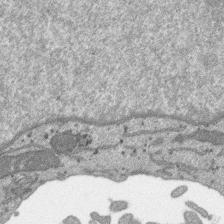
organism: Human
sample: Lung epithelial cells infected with SARS-CoV-2